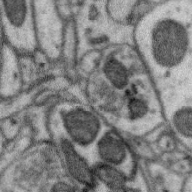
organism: Zebra finch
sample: Brain